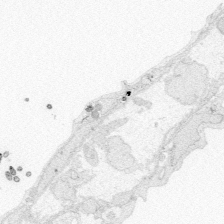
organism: Zebrafish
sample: Whole-Brain